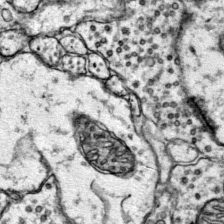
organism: Mouse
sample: Primary visual cortex